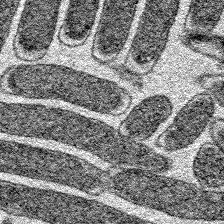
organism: E. coli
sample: E. Coli Bacteria